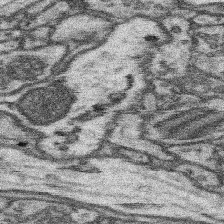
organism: Mouse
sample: Somatosensory cortex neuropil